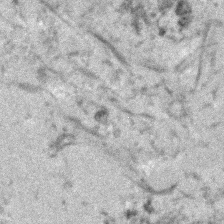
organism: Human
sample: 1205lu cells